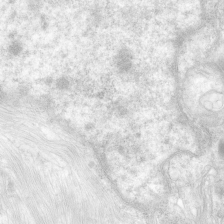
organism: Human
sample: Neocortex